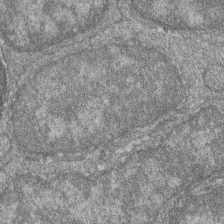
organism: Zebrafish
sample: Cilia; retinal pigment epithelium